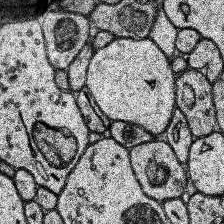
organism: Human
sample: Temporal Lobe